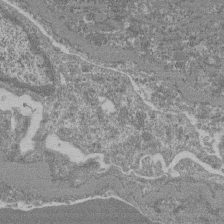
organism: Mouse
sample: Glomerulus